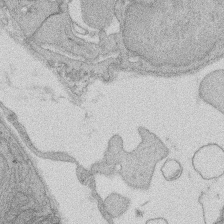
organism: Rat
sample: Salivary granule